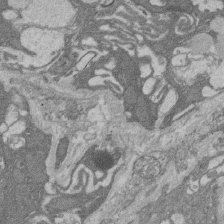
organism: Rat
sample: Salivary granule